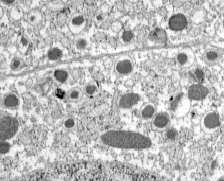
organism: C57BL Mouse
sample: Pancreatic islet